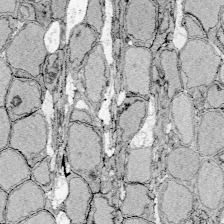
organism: Zebrafish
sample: Whole-Brain